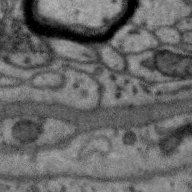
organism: Zebra finch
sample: Brain